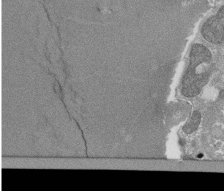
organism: Tetrahymena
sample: Cilia in tetrahymena